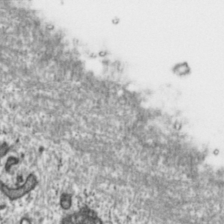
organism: Toxoplasma gondii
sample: Parasites in a vacuole inside a host cell